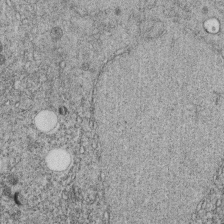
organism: C. elegans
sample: C. elegans embryo early stage